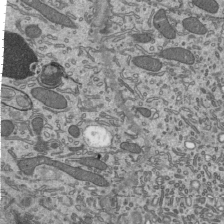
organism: Mouse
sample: Mouse epididymis efferent ductule cilia